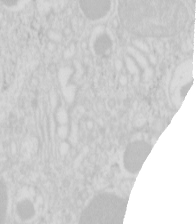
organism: Mouse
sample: Pancreas